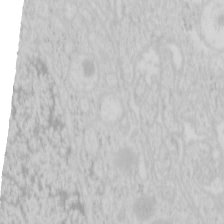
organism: Mouse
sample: Pancreas